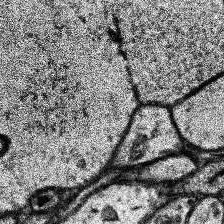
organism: Human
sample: Temporal Lobe